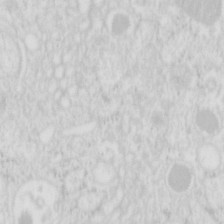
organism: Mouse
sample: Pancreas